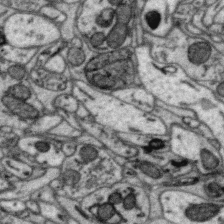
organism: Zebra finch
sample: Brain